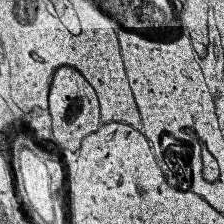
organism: Human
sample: Temporal Lobe